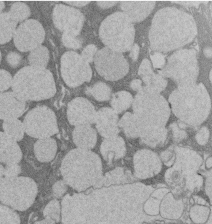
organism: Rat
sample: Salivary granule